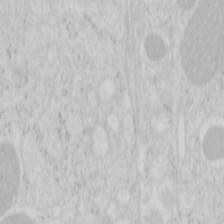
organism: Mouse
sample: Pancreas